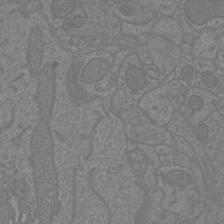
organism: Mouse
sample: Cortical neurons